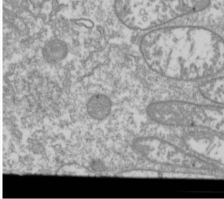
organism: Drosophila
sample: Cell division; meiosis; drosophila spermatocytes